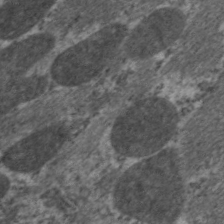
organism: C. elegans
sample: Pharynx